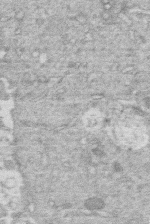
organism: Human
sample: Macrophage cells